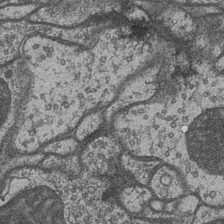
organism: Drosophila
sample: Optic medulla